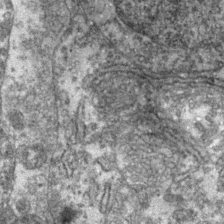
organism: Zebrafish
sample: Zebrafish embryo